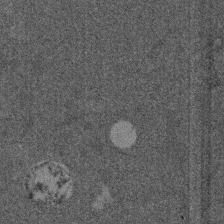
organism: Mouse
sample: Dividing mouse embryo 1 cell stage